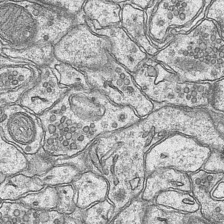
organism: Mouse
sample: CA1 Hippocampus